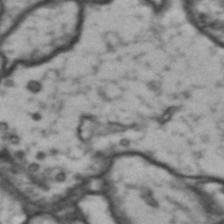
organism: Drosophila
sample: Brain